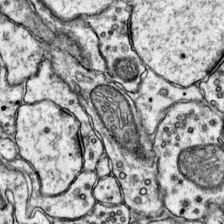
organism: Mouse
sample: Primary visual cortex